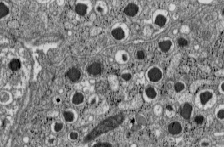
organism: C57BL Mouse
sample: Pancreatic islet